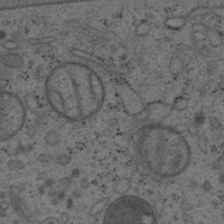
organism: Human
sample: HeLa cells